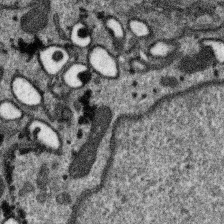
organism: Human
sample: Lung epithelial cells infected with SARS-CoV-2